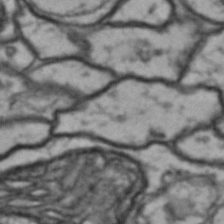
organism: Drosophila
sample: Brain